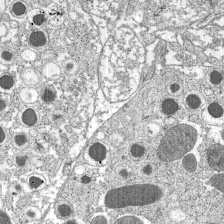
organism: C57BL Mouse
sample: Pancreatic islet